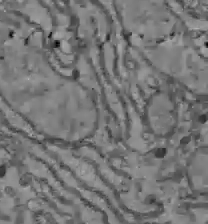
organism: C57BL Mouse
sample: Liver